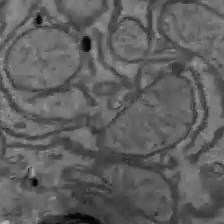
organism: C57BL Mouse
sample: Liver